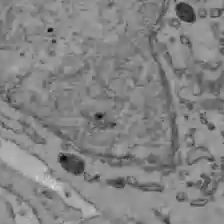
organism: C57BL Mouse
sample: Liver